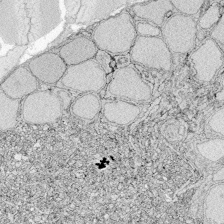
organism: Zebrafish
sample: Whole-Brain